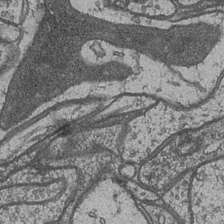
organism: Drosophila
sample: Optic medulla